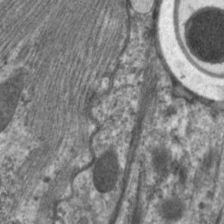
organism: C. elegans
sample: Pharynx